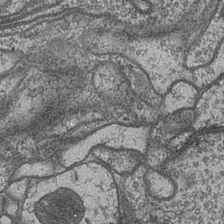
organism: Drosophila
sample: Optic medulla